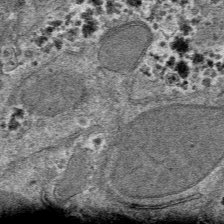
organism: Mouse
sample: Mouse hepatocytes